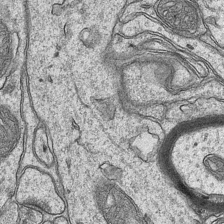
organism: Mouse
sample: CA1 Hippocampus